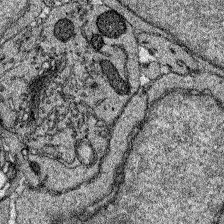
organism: Zebrafish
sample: Larval olfactory bulb